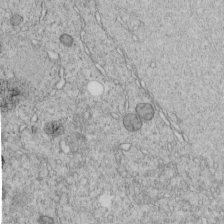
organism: C. elegans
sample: C. elegans embryo early stage